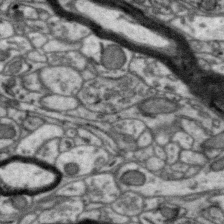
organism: Zebra finch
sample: Brain